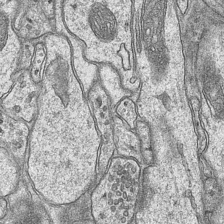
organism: Mouse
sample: CA1 Hippocampus